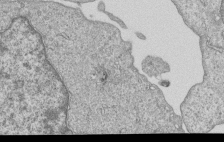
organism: Human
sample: MDA-MB-231 cells